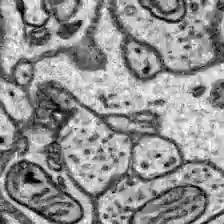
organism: Zebrafish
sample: Brain